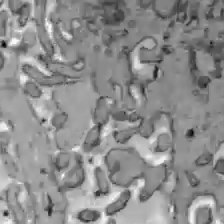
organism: C57BL Mouse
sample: Liver